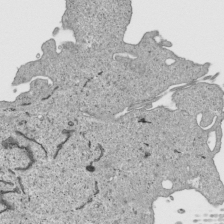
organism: Human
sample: Mitochondria in HCT116 cells